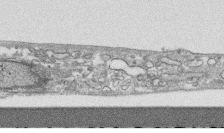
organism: Human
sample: CRL-1474